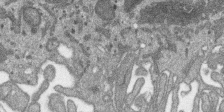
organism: Human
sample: Lung epithelial cells infected with SARS-CoV-2